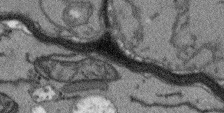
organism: Arabidopsis thaliana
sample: Root tip